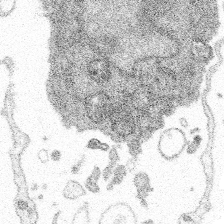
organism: Spongilla lacustris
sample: Multiple